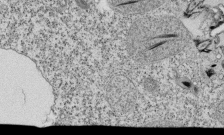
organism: Tetrahymena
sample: Cilia in tetrahymena